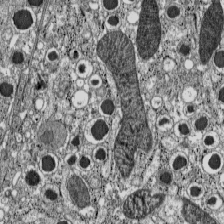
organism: C57BL Mouse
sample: Pancreatic islet